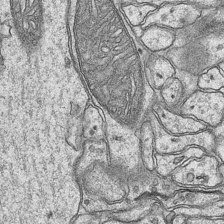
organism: Mouse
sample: CA1 Hippocampus